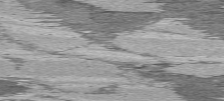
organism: C57BL Mouse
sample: Heart